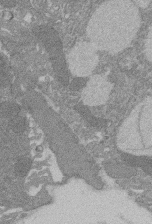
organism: Rat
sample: Salivary granule